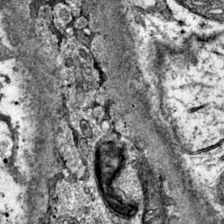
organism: Mouse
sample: Primary visual cortex